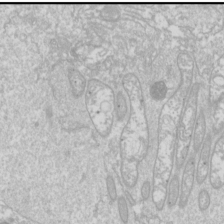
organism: Drosophila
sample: Cell division; meiosis; drosophila spermatocytes